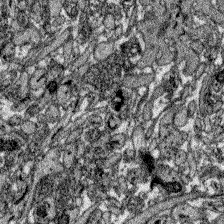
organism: Zebrafish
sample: Larval olfactory bulb